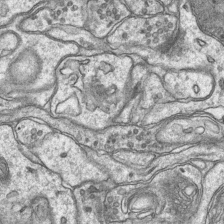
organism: Mouse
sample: CA1 Hippocampus